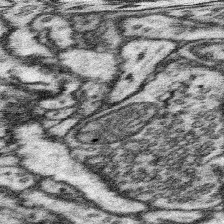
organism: Mouse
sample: Somatosensory cortex neuropil